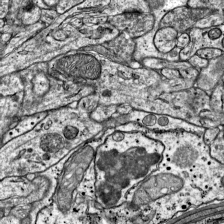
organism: Mouse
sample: Visual Cortex